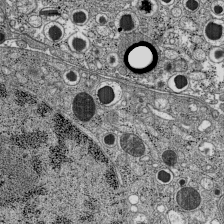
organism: C57BL Mouse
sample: Pancreatic islet